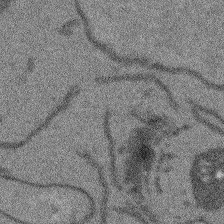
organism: Arabidopsis thaliana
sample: Root tip